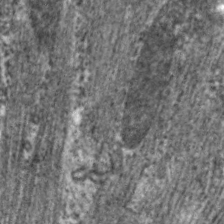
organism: C. elegans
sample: Pharynx